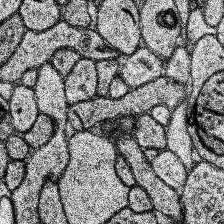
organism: Human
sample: Temporal Lobe